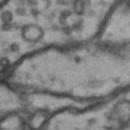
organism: Drosophila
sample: Brain